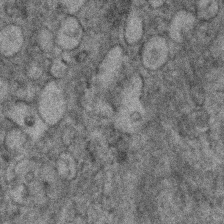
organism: Human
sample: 1205lu cells